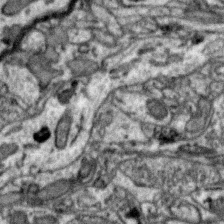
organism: Zebra finch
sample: Brain